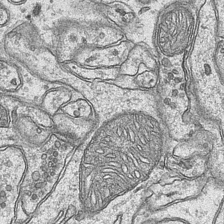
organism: Mouse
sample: CA1 Hippocampus